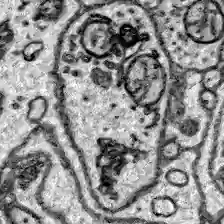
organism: Zebrafish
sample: Brain